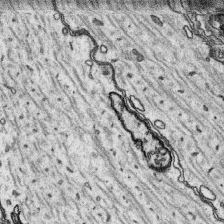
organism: Platynereis dumerilii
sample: Parapodia